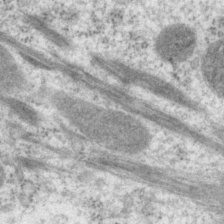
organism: P. pacificus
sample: Pharynx